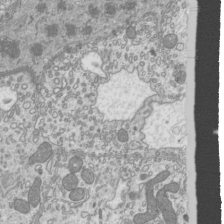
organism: Mouse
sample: Cilia; mouse epididymis